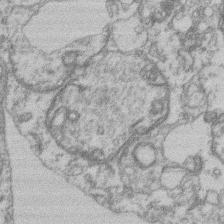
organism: Mouse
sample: T cell stromal cell synapse